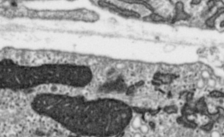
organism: Toxoplasma gondii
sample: Parasites in a vacuole inside a host cell